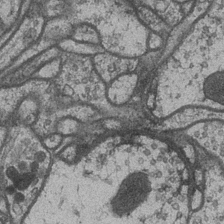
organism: Drosophila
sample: Optic medulla